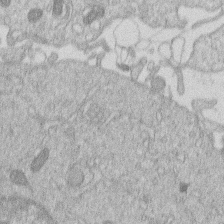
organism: Human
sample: Macrophage cells